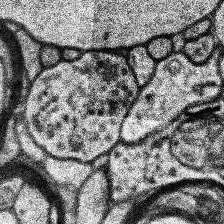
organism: Human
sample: Temporal Lobe